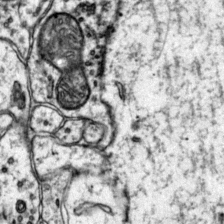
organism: Mouse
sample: Primary visual cortex